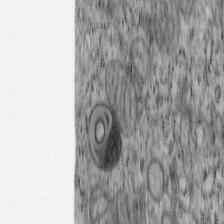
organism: Human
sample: HeLa cells